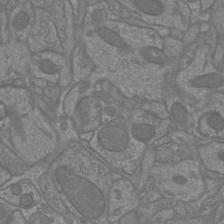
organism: Mouse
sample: Cortical neurons